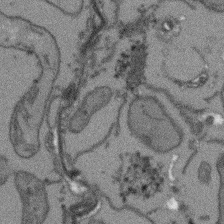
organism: Arabidopsis thaliana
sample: Root tip